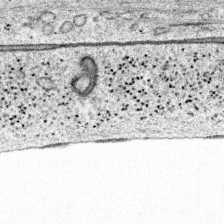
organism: Human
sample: HeLa cells